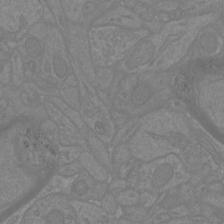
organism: Mouse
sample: Cortical neurons